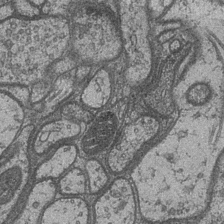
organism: Drosophila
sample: Optic medulla